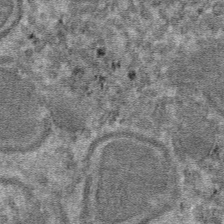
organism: Mouse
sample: Mouse hepatocytes